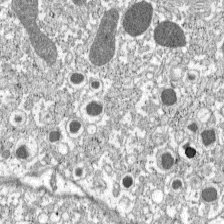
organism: C57BL Mouse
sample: Pancreatic islet